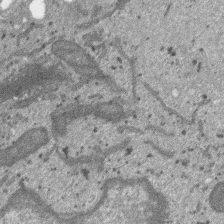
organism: Human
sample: Lung epithelial cells infected with SARS-CoV-2